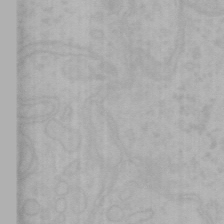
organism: Mouse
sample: Choroid plexus